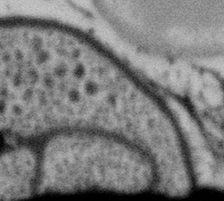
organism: Gemmata obscuriglobus